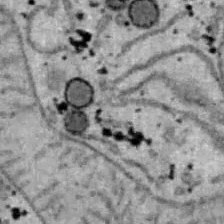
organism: Mouse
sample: Liver from an obese (ob/ob) mouse